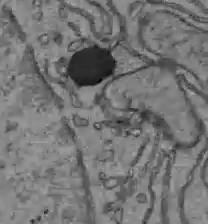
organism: C57BL Mouse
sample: Liver